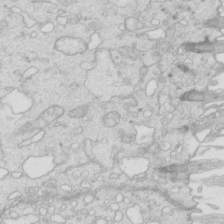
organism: Mouse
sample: Multiciliated cells